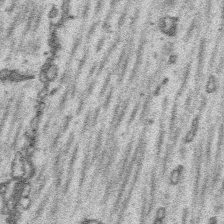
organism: Platynereis dumerilii